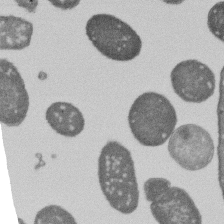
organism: E. coli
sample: Bacterial nucleoid